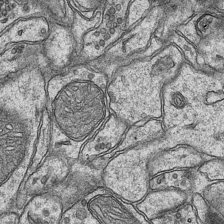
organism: Mouse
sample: CA1 Hippocampus